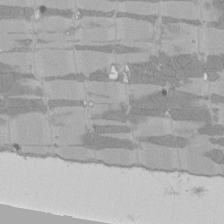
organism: Rat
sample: Left ventricle